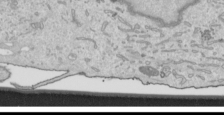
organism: Human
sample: Mitochondria in HCT116 cells